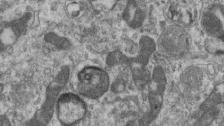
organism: Mouse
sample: Centriole in ependymal cells